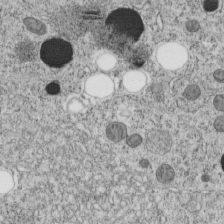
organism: C. elegans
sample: C. elegans embryo early stage